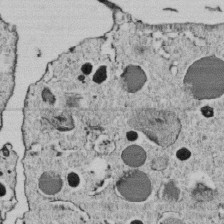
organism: C. elegans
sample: C. elegans embryo early stage